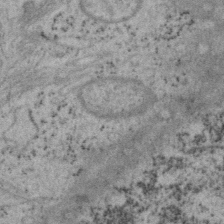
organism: Human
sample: HeLa cells